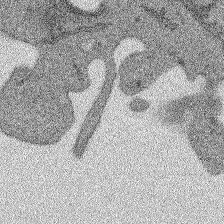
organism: Human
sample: HeLa cells